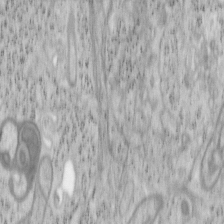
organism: Human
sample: HeLa cells